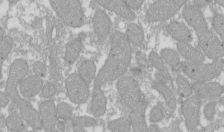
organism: Xenopus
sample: Cilia; centrioles in frog embryo cells